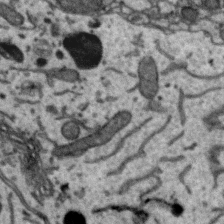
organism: Zebra finch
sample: Brain